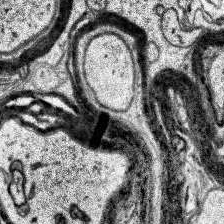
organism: Human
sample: Temporal Lobe